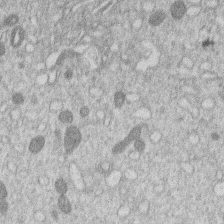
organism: Human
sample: Macrophage cells